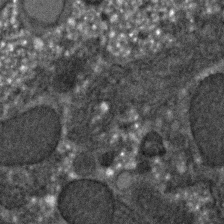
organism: C. elegans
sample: C. elegans embryo